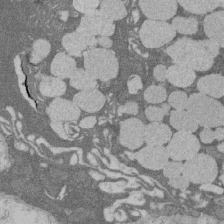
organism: Rat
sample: Salivary granule